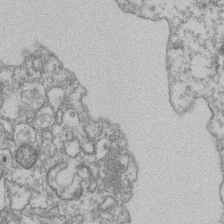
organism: Mouse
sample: T cell stromal cell synapse